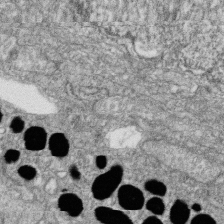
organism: Zebrafish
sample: Cilia; retinal pigment epithelium